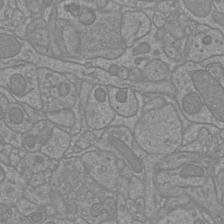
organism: Mouse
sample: Cortical neurons